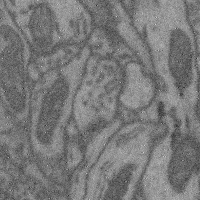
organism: Mouse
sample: Cerebral cortex